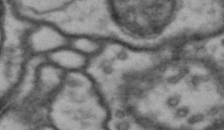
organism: Drosophila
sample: Brain